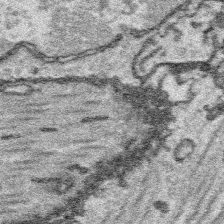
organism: Platynereis dumerilii